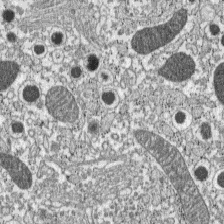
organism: C57BL Mouse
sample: Pancreatic islet